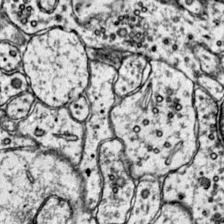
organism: Mouse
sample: Primary visual cortex